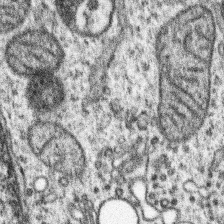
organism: Human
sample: HeLa cells